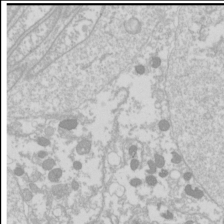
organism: Drosophila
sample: Cell division; meiosis; drosophila spermatocytes